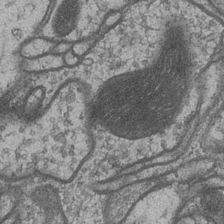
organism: Drosophila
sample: Optic medulla